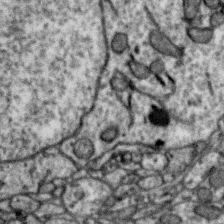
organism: Zebra finch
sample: Brain